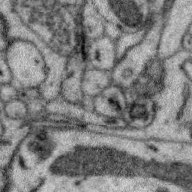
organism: Zebra finch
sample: Brain